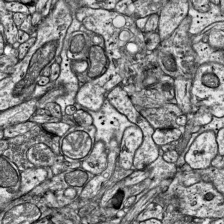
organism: Mouse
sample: Visual Cortex